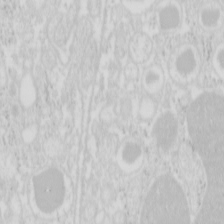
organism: Mouse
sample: Pancreas